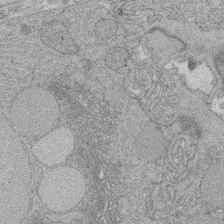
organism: Rat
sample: Salivary granule